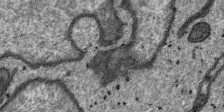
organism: Human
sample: Lung epithelial cells, uninfected (mock) control